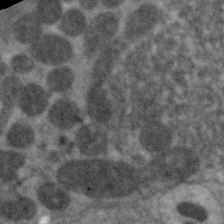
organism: C. elegans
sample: Pharynx